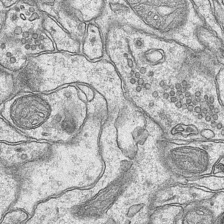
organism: Mouse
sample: CA1 Hippocampus